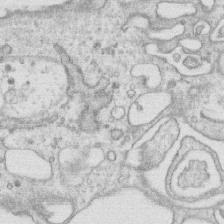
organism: Human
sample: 1205lu cells